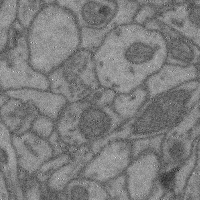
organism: Mouse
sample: Cerebral cortex